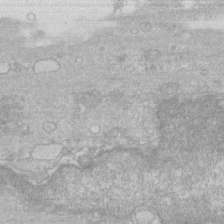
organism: Human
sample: Fibroblast cells